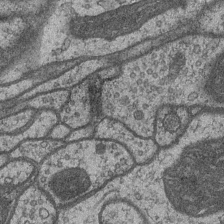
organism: Drosophila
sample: Optic medulla